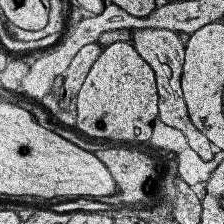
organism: Human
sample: Temporal Lobe